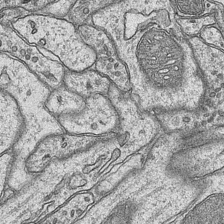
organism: Mouse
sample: CA1 Hippocampus